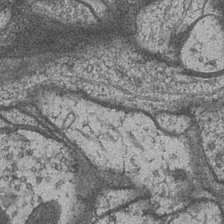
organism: Drosophila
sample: Optic medulla